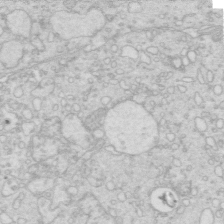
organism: Mouse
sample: Multiciliated cells